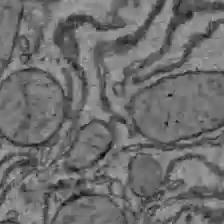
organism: C57BL Mouse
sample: Liver